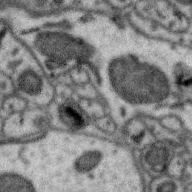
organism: Zebra finch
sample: Brain